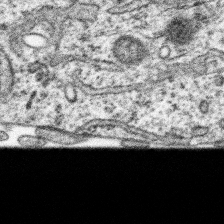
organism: Human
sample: HeLa cells